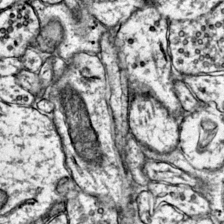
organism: Mouse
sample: Primary visual cortex